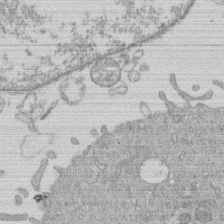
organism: Human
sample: Macrophage cells